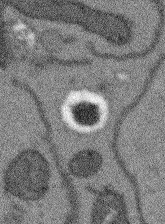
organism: Arabidopsis thaliana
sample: Root tip